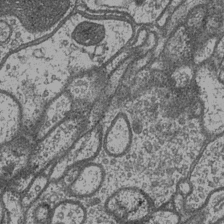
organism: Drosophila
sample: Optic medulla